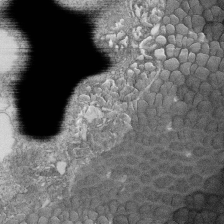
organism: Tetrahymena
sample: Cilia in tetrahymena